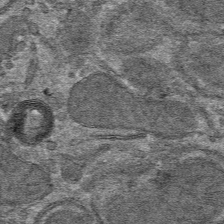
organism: Mouse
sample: Mouse hepatocytes